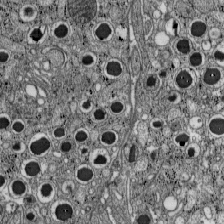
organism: C57BL Mouse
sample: Pancreatic islet